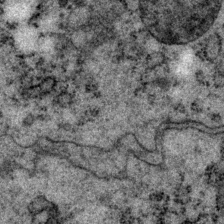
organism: P. pacificus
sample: Pharynx